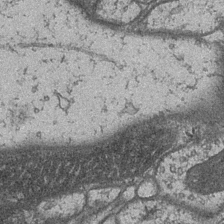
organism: Drosophila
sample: Optic medulla